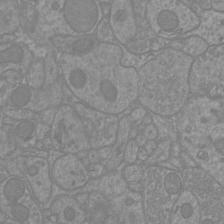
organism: Mouse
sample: Cortical neurons